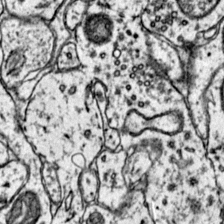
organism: Mouse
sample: Primary visual cortex